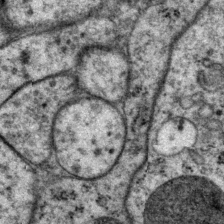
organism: P. pacificus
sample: Pharynx